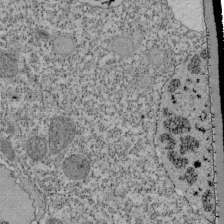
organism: Tetrahymena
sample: Cilia in tetrahymena